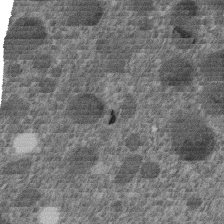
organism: C. elegans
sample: C. elegans embryo early stage